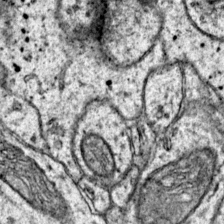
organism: Mouse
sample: Primary visual cortex